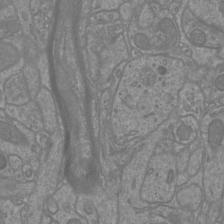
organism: Mouse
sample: Cortical neurons